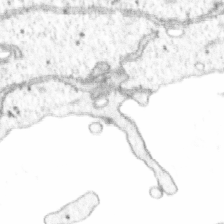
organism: Human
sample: HeLa cells